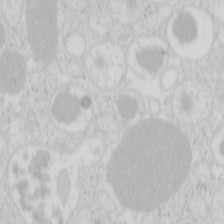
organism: Mouse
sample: Pancreas